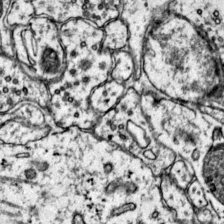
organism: Mouse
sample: Primary visual cortex